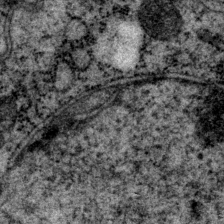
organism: P. pacificus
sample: Pharynx